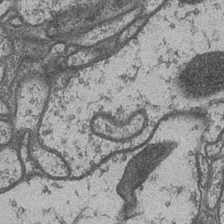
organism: Drosophila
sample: Optic medulla